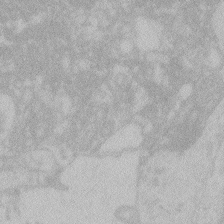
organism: Zebrafish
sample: Macrophage infected with Toxoplasma gondii